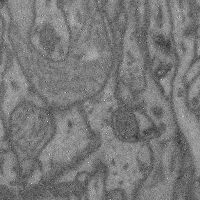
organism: Mouse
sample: Cerebral cortex